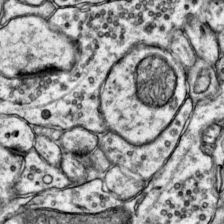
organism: Mouse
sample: Primary visual cortex